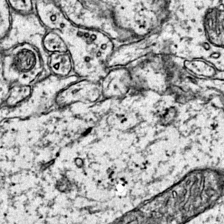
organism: Mouse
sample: Primary visual cortex